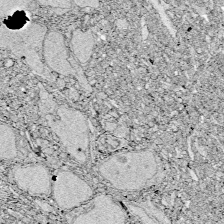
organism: Zebrafish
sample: Whole-Brain